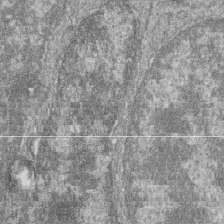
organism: Zebrafish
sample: Cilia; retinal pigment epithelium